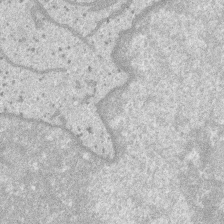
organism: Human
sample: Lung epithelial cells infected with SARS-CoV-2